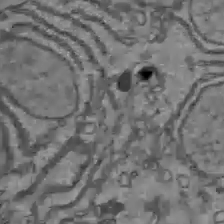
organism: C57BL Mouse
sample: Liver